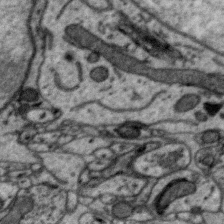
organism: Zebra finch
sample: Brain